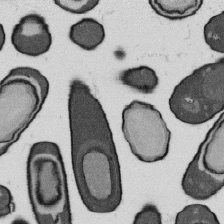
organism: B. subtilis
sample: Bacterial spore